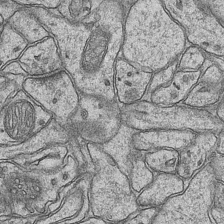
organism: Mouse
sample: CA1 Hippocampus